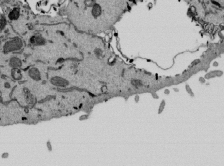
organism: Mouse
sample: ED-1 cell nuclei; centrioles